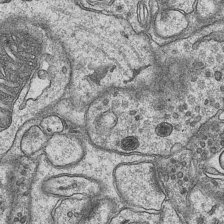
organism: Mouse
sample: CA1 Hippocampus